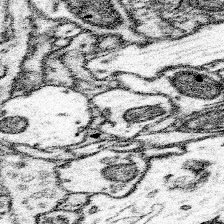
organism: Mouse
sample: Somatosensory cortex neuropil